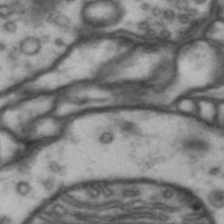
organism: Drosophila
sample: Brain